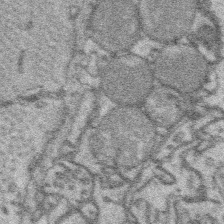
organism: Platynereis dumerilii